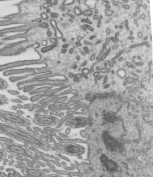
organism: Mouse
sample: Mouse epididymis efferent ductule cilia